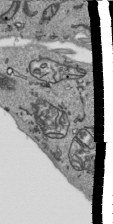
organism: Human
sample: Mitochondria in HCT116 cells